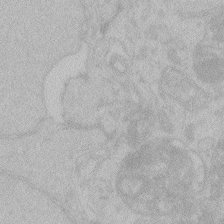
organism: Zebrafish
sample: Macrophage infected with Toxoplasma gondii